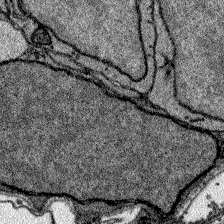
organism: Zebrafish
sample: Larval olfactory bulb